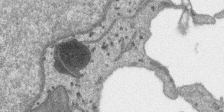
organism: Human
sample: Lung epithelial cells infected with SARS-CoV-2